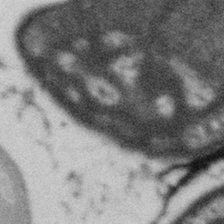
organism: Gemmata obscuriglobus